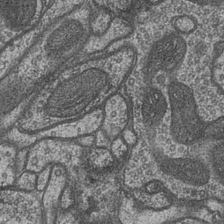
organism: Drosophila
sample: Optic medulla